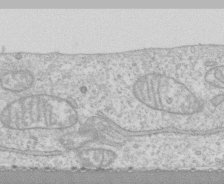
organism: Human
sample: CRL-1474